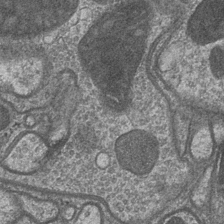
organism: Drosophila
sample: Optic medulla